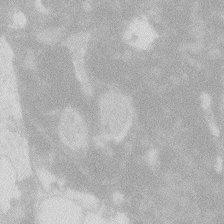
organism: Zebrafish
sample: Macrophage